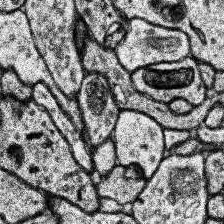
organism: Human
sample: Temporal Lobe